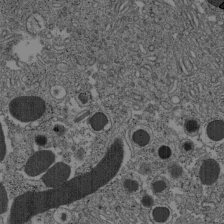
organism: C57BL Mouse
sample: Pancreatic islet